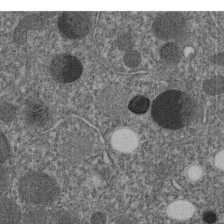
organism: C. elegans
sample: C. elegans embryo early stage